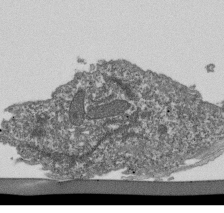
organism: Dictyostelium discoideum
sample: Dictyostelium multivesicular bodies